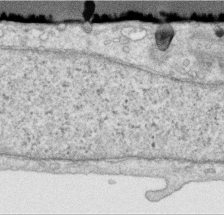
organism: Human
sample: Centriole in RPE cells